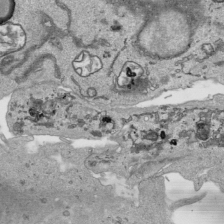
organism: Human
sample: Mitochondria in HCT116 cells